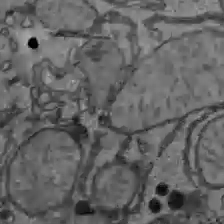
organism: C57BL Mouse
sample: Liver